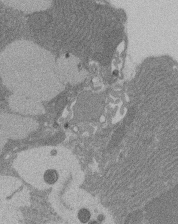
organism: Rat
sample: Salivary granule